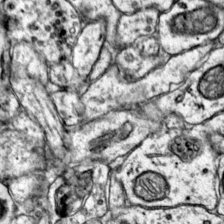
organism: Mouse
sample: Primary visual cortex